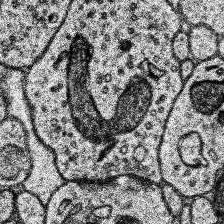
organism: Human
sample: Temporal Lobe